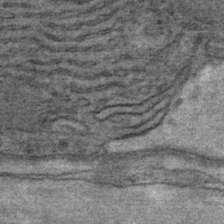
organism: Mouse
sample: Mouse Salivary gland